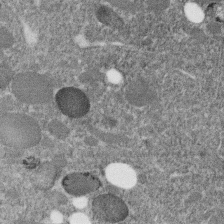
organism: C. elegans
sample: C. elegans embryo early stage